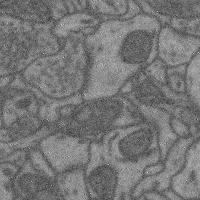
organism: Mouse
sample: Cerebral cortex